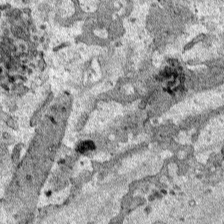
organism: Human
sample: Mitochondria in HCT116 cells